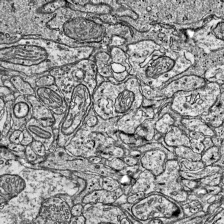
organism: Mouse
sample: Visual Cortex